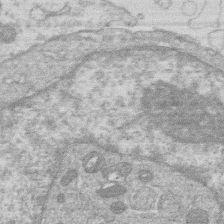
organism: Human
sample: Macrophage cells